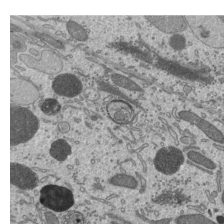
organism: Mouse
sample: Mouse epididymis efferent ductule cilia